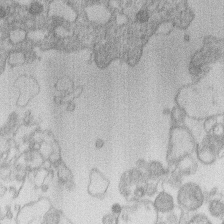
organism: Human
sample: Macrophage cells